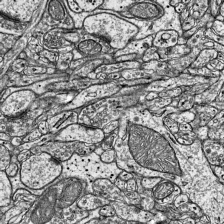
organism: Mouse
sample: Visual Cortex